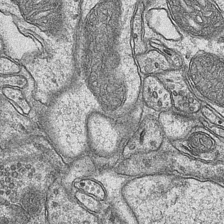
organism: Mouse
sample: CA1 Hippocampus